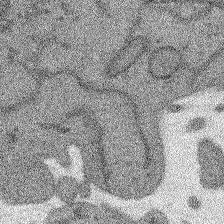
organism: Human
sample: HeLa cells